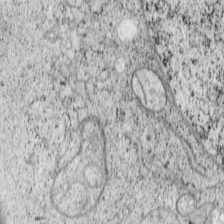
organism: African green monkey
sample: COS-7 cells